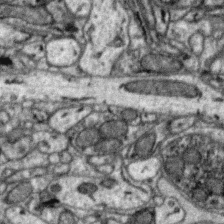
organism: Zebra finch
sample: Brain